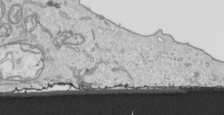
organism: Human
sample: Mitochondria in HCT116 cells